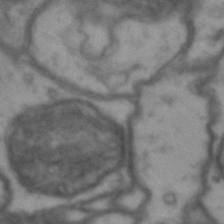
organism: Drosophila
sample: Brain